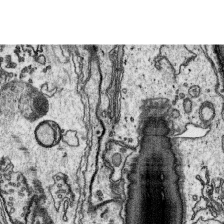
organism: Platynereis dumerilii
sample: Parapodia